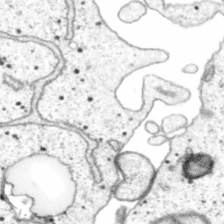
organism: Human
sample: HeLa cells